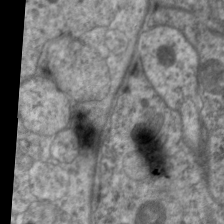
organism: C. elegans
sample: Pharynx